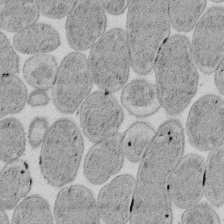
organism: E. coli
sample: Bacterial nucleoid